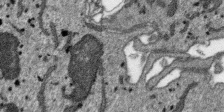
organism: Human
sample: Lung epithelial cells, uninfected (mock) control